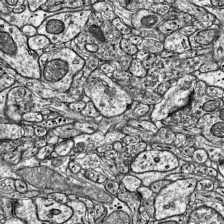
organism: Mouse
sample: Visual Cortex